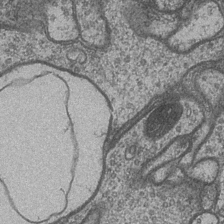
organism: Drosophila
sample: Optic medulla